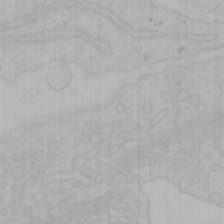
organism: Mouse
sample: Choroid plexus